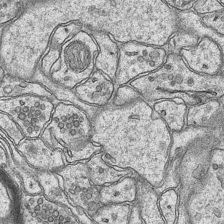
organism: Mouse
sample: CA1 Hippocampus